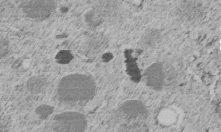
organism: C. elegans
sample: C. elegans embryo early stage